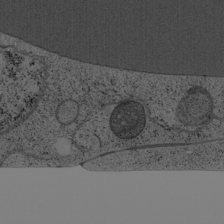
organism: African green monkey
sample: COS-7 cells